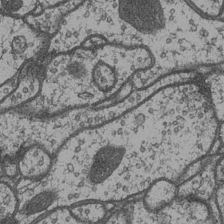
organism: Drosophila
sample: Optic medulla